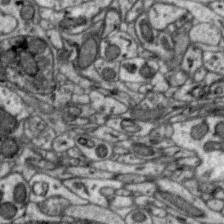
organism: Zebra finch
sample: Brain